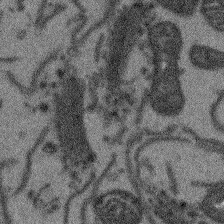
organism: Arabidopsis thaliana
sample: Root tip